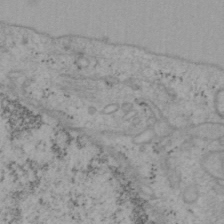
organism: Human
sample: HeLa cells